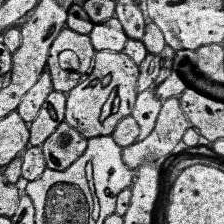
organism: Human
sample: Temporal Lobe